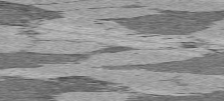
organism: C57BL Mouse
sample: Heart